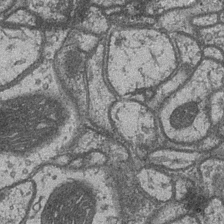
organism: Drosophila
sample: Optic medulla